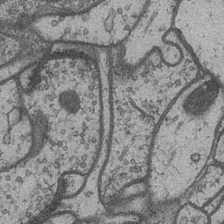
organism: Drosophila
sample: Optic medulla